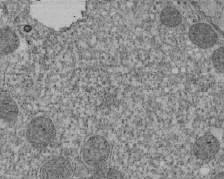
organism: Tetrahymena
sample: Cilia in tetrahymena